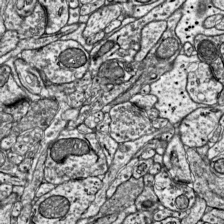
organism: Mouse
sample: Visual Cortex